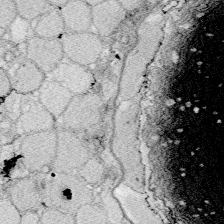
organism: Zebrafish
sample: Whole-Brain